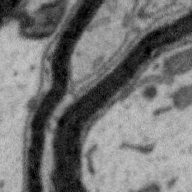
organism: Zebra finch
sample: Brain